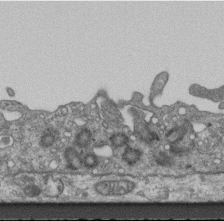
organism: Mouse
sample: Centriole in ependymal cells